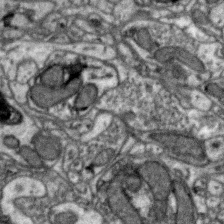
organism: Zebra finch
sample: Brain